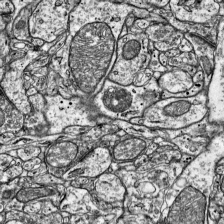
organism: Mouse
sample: Visual Cortex